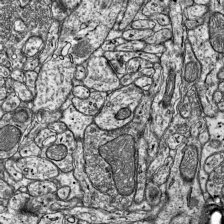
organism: Mouse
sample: Visual Cortex